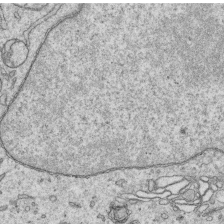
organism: Human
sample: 1205lu cells